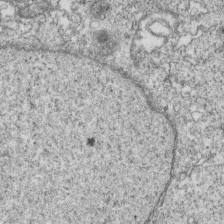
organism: Human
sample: HeLa cell HIV synapse